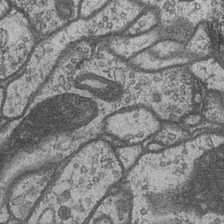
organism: Drosophila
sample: Optic medulla